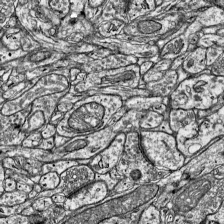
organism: Mouse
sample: Visual Cortex